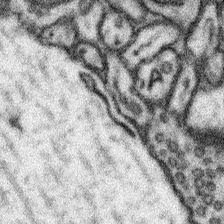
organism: Mouse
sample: Somatosensory cortex neuropil